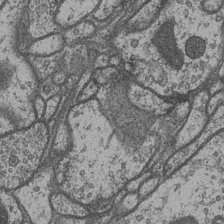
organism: Drosophila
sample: Optic medulla